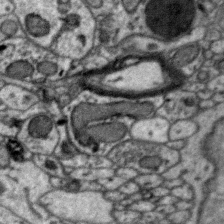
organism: Zebra finch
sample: Brain